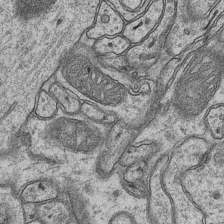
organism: Mouse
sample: CA1 Hippocampus